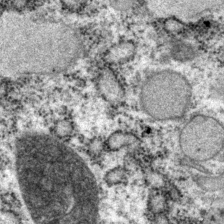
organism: P. pacificus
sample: Pharynx